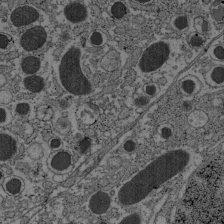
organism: C57BL Mouse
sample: Pancreatic islet